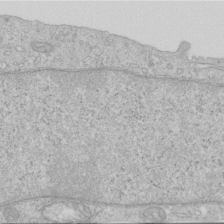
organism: Human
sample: Centriole in RPE cells